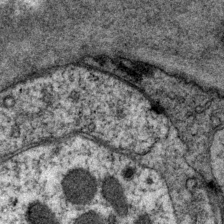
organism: P. pacificus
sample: Pharynx